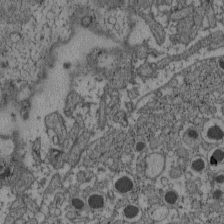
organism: C57BL Mouse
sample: Pancreatic islet